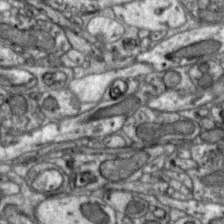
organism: Zebra finch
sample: Brain